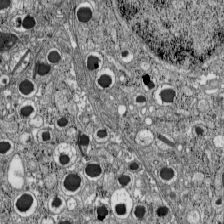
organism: C57BL Mouse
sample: Pancreatic islet